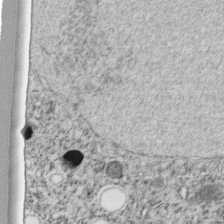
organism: C. elegans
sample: C. elegans embryo early stage